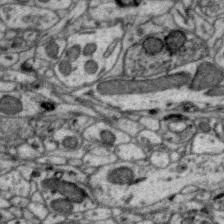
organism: Zebra finch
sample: Brain